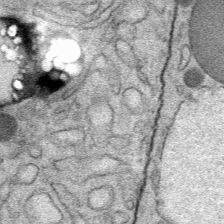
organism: Mouse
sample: Mouse Salivary gland